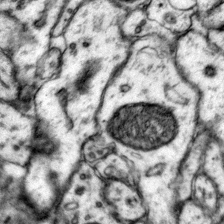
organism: Mouse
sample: Primary visual cortex